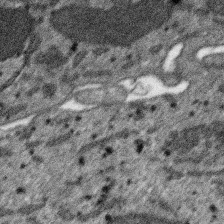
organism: Human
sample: Lung epithelial cells infected with SARS-CoV-2